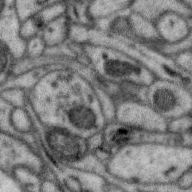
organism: Zebra finch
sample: Brain